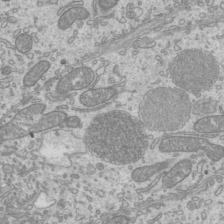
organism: Mouse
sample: Cilia; mouse epididymis